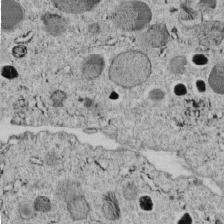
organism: C. elegans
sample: C. elegans embryo early stage